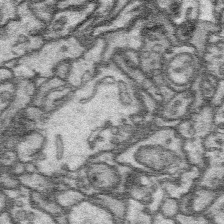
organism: Platynereis dumerilii